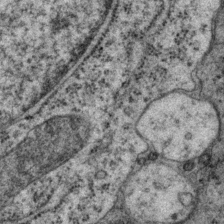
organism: P. pacificus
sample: Pharynx